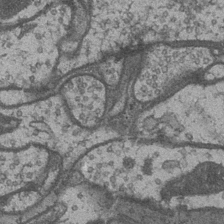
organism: Drosophila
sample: Optic medulla